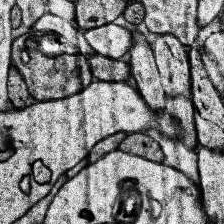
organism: Human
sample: Temporal Lobe